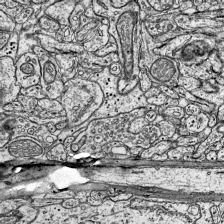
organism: Mouse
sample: Visual Cortex